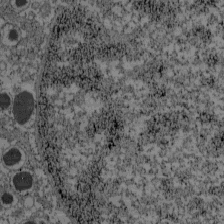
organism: C57BL Mouse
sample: Pancreatic islet